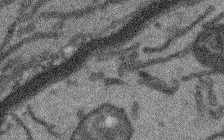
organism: Arabidopsis thaliana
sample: Root tip